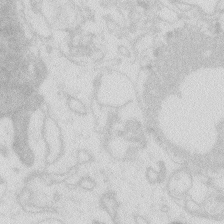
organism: Zebrafish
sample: Macrophage